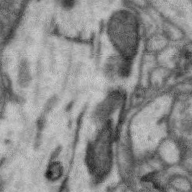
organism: Zebra finch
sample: Brain